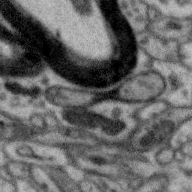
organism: Zebra finch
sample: Brain